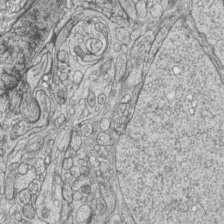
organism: Zebrafish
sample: synaptic ribbons in rod cells and cone cells